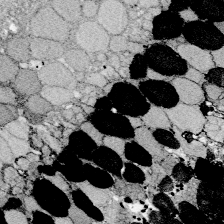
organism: Zebrafish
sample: Whole-Brain